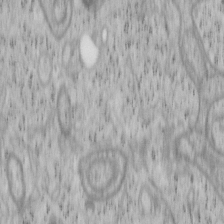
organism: Human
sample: HeLa cells